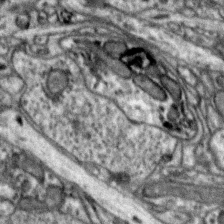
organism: Zebra finch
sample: Brain